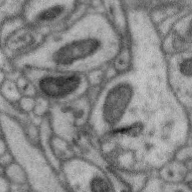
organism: Zebra finch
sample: Brain